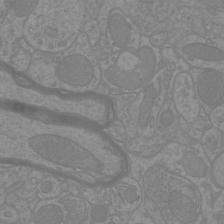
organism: Mouse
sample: Cortical neurons